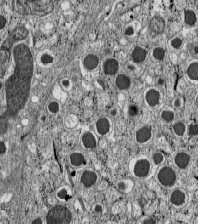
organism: C57BL Mouse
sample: Pancreatic islet